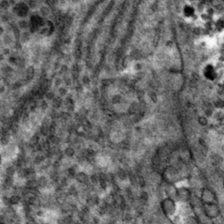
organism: Mouse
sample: Mouse hepatocytes